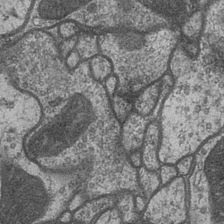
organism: Drosophila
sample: Optic medulla